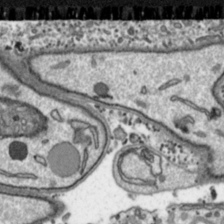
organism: Toxoplasma gondii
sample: Parasites in a vacuole inside a host cell